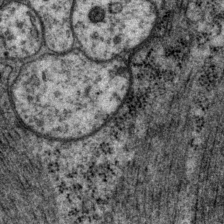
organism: P. pacificus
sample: Pharynx